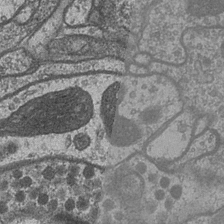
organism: Drosophila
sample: Optic medulla